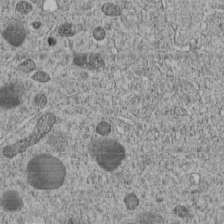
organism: C. elegans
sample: C. elegans embryo early stage